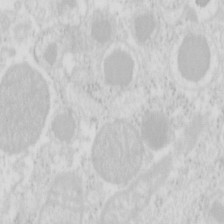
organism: Mouse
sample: Pancreas